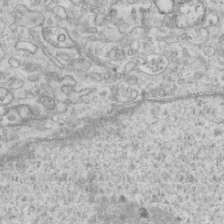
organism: Mouse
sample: Centriole in ependymal cells